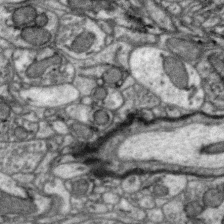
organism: Zebra finch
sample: Brain